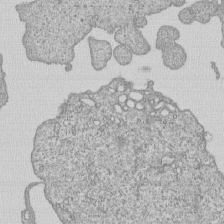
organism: Human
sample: MDA-MB-231 cells